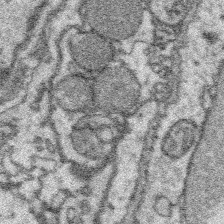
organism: Platynereis dumerilii